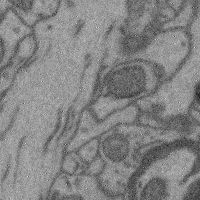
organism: Mouse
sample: Cerebral cortex